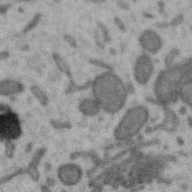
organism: Zebra finch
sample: Brain